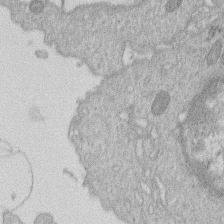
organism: Human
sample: Macrophage cells